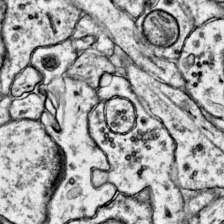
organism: Mouse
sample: Primary visual cortex